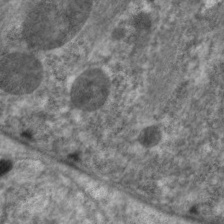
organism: C. elegans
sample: Pharynx